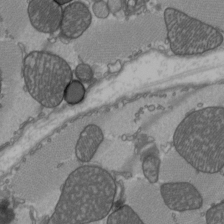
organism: C57BL Mouse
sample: Heart